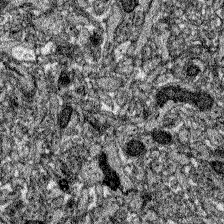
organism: Zebrafish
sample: Larval olfactory bulb